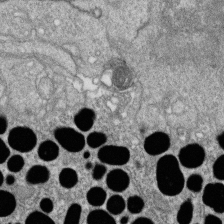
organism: Zebrafish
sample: Cilia; retinal pigment epithelium